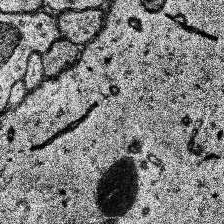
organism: Human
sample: Temporal Lobe